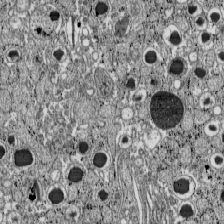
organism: C57BL Mouse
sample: Pancreatic islet